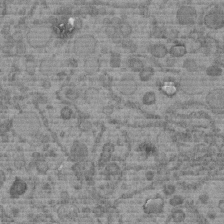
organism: C. elegans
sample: C. elegans embryo early stage